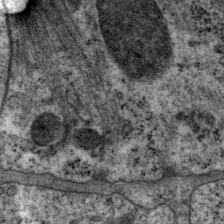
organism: P. pacificus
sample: Pharynx